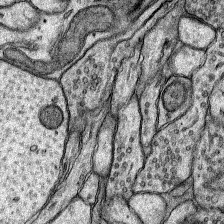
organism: Rat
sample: Hippocampus